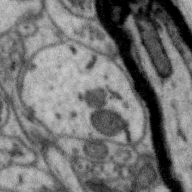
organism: Zebra finch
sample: Brain